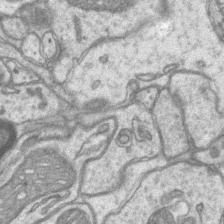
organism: Mouse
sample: CA1 Hippocampus